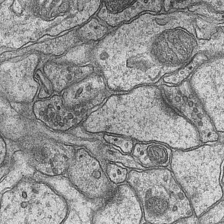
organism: Mouse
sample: CA1 Hippocampus